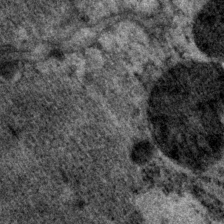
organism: P. pacificus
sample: Pharynx